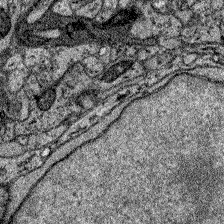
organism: Zebrafish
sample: Larval olfactory bulb